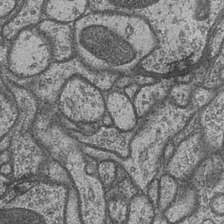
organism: Drosophila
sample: Optic medulla